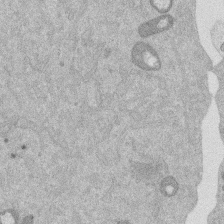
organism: Mouse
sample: Dividing mouse embryo 1 cell stage